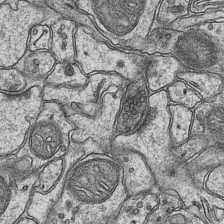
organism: Mouse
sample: CA1 Hippocampus